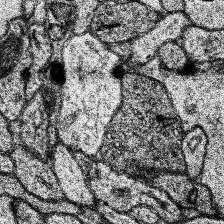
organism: Human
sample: Temporal Lobe